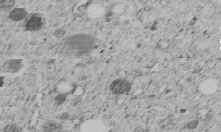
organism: C. elegans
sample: C. elegans embryo early stage